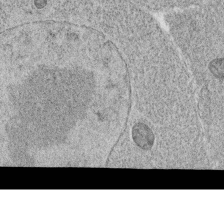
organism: C. elegans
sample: C. elegans oocyte; sperm cells